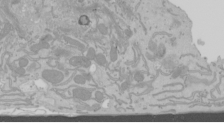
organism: Mouse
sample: Cancer cell death in ED-1 cells